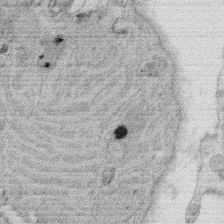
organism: Rat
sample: Salivary granule